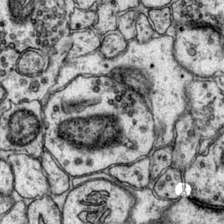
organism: Mouse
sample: Primary visual cortex